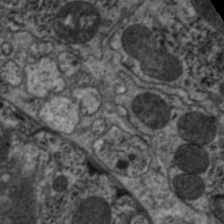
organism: C. elegans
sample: Pharynx